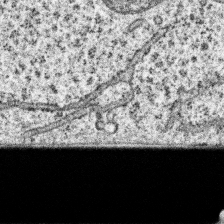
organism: Human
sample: HeLa cells